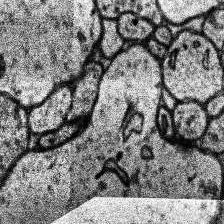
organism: Human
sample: Temporal Lobe